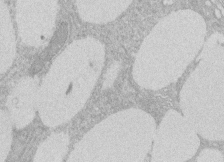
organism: Rat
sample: Salivary granule